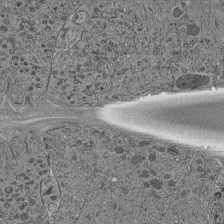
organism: C. elegans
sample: C. elegans pharynx